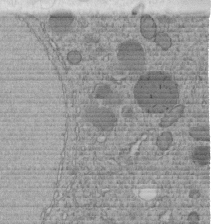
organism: C. elegans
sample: C. elegans embryo early stage